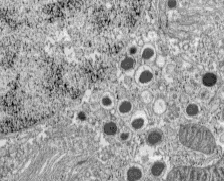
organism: C57BL Mouse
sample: Pancreatic islet